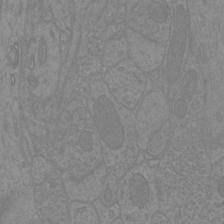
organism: Mouse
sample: Cortical neurons